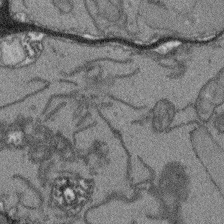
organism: Arabidopsis thaliana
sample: Root tip